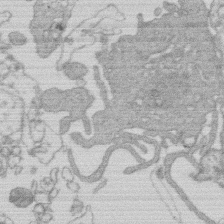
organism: Human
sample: Macrophage cells